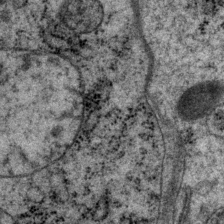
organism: P. pacificus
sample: Pharynx